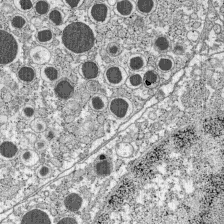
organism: C57BL Mouse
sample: Pancreatic islet